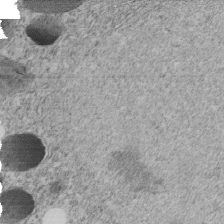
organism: C. elegans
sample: C. elegans embryo early stage